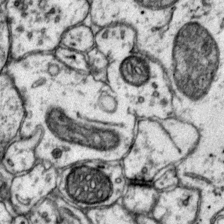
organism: Mouse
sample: Primary visual cortex